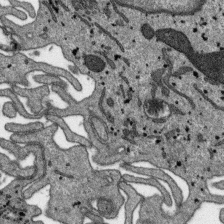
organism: Human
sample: Lung epithelial cells, uninfected (mock) control